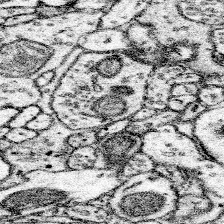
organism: Mouse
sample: Somatosensory cortex neuropil